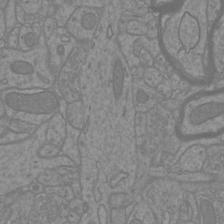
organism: Mouse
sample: Cortical neurons